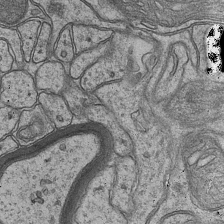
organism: Mouse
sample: CA1 Hippocampus